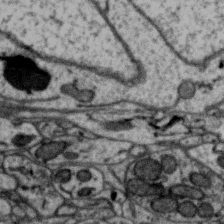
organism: Zebra finch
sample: Brain